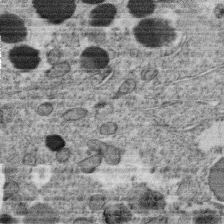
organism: C. elegans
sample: C. elegans oocyte; sperm cells